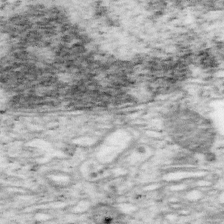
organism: Mouse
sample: OT-I killer T cells with ID8 ovarian cancer cells